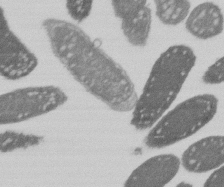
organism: E. coli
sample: Bacterial nucleoid